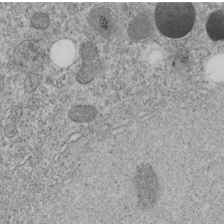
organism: C. elegans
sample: C. elegans embryo early stage